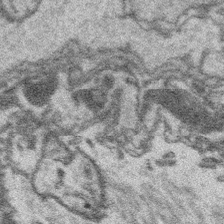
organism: Platynereis dumerilii